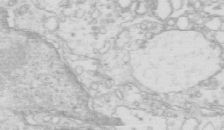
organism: Mouse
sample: Multiciliated cells